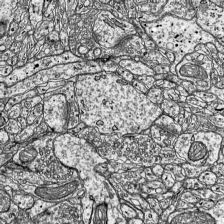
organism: Mouse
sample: Visual Cortex